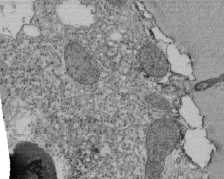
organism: Tetrahymena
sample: Cilia in tetrahymena